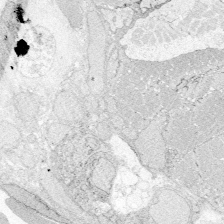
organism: Zebrafish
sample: Whole-Brain